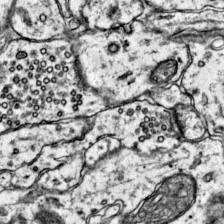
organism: Mouse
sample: Primary visual cortex